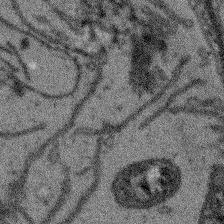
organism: Arabidopsis thaliana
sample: Root tip